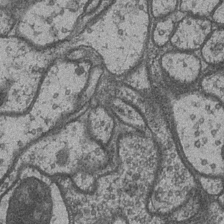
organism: Drosophila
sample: Optic medulla